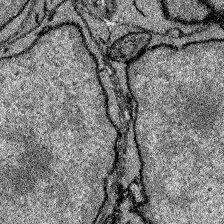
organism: Zebrafish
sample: Larval olfactory bulb